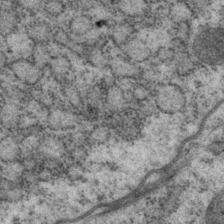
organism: P. pacificus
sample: Pharynx